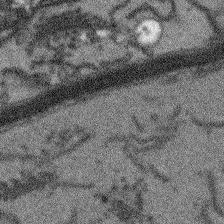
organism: Arabidopsis thaliana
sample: Root tip